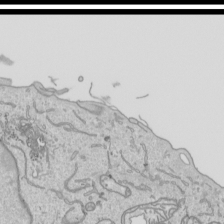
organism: Human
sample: Mitochondria in HCT116 cells